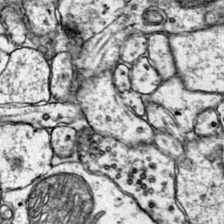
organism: Mouse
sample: Primary visual cortex